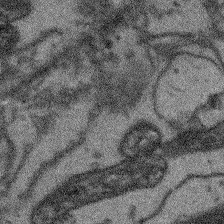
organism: Arabidopsis thaliana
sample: Root tip